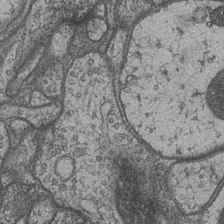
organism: Drosophila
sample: Optic medulla